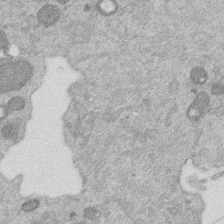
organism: Mouse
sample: Dividing mouse embryo 1 cell stage